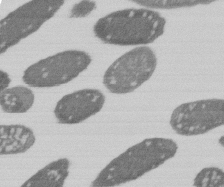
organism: E. coli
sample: Bacterial nucleoid